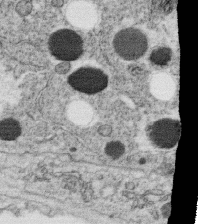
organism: C. elegans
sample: C. elegans oocyte; sperm cells